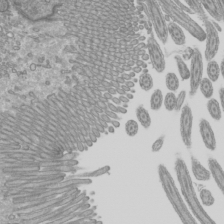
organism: Mouse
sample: Cilia; mouse epididymis